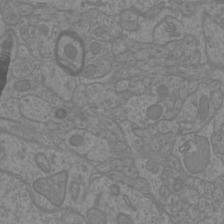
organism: Mouse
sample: Cortical neurons